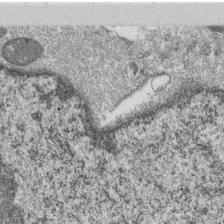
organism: African green monkey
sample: Vero E6 cells infected with SARS-CoV-2